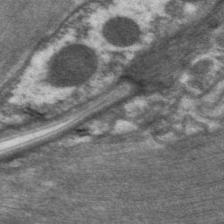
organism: C. elegans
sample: Pharynx